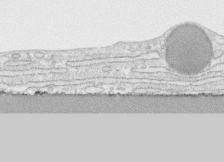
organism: Human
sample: CRL-1474